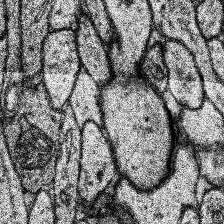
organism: Human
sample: Temporal Lobe